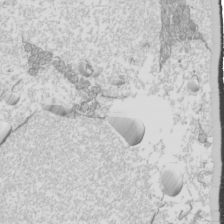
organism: Mouse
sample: Cilia; mouse epididymis